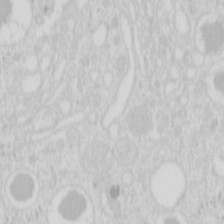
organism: Mouse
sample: Pancreas